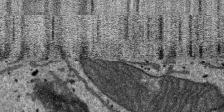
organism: Human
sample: Lung epithelial cells, uninfected (mock) control